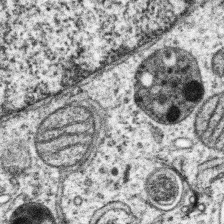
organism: Human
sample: HeLa cells